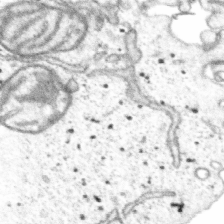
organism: Human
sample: HeLa cells